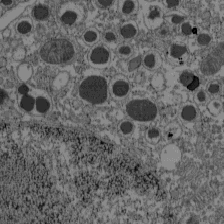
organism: C57BL Mouse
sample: Pancreatic islet